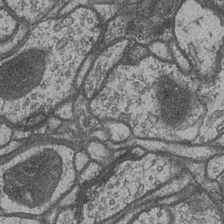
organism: Drosophila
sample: Optic medulla